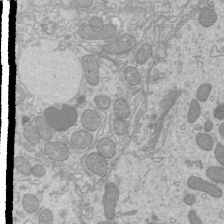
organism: Mouse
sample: Cilia; mouse epididymis